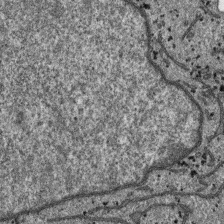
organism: Human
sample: Lung epithelial cells infected with SARS-CoV-2